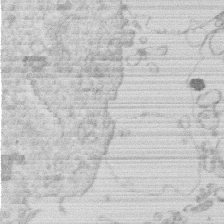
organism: Human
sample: Macrophage cells